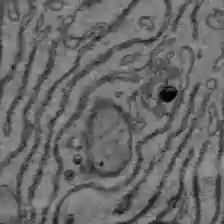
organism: C57BL Mouse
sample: Liver